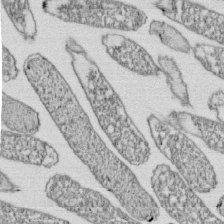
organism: E. coli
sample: Bacterial nucleoid